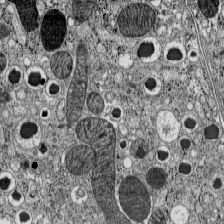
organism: C57BL Mouse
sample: Pancreatic islet